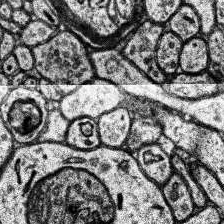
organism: Human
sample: Temporal Lobe